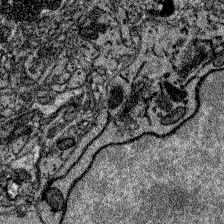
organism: Zebrafish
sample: Larval olfactory bulb